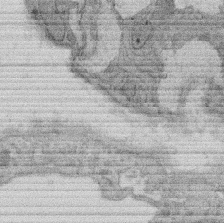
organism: Rat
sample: Salivary granule